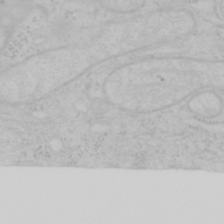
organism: Mouse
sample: OT-I killer T cells with ID8 ovarian cancer cells